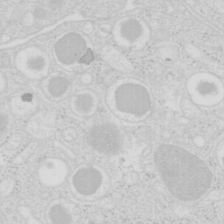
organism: Mouse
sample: Pancreas